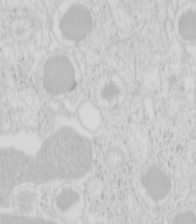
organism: Mouse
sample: Pancreas